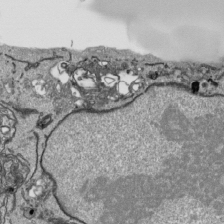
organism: Human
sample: Mitochondria in HCT116 cells